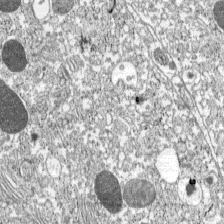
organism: C57BL Mouse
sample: Pancreatic islet